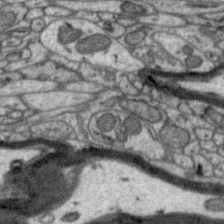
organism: Zebra finch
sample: Brain